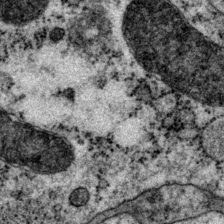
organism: P. pacificus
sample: Pharynx